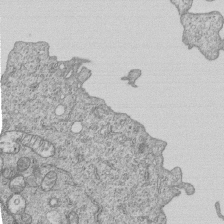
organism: Human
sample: MDA-MB-231 cells